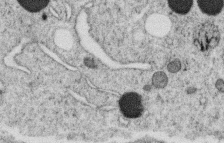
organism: C. elegans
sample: C. elegans oocyte; sperm cells